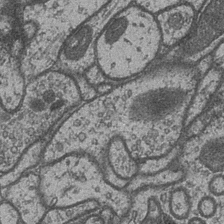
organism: Drosophila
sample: Optic medulla